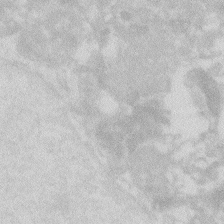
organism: Zebrafish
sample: Macrophage